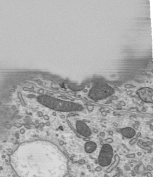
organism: Mouse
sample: Mouse epididymis efferent ductule cilia